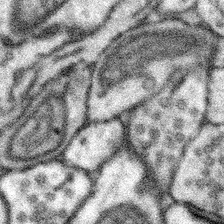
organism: Mouse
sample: Somatosensory cortex neuropil